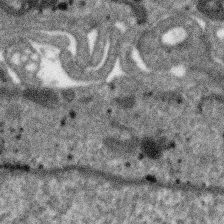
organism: Human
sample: Lung epithelial cells infected with SARS-CoV-2